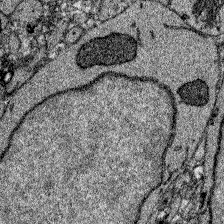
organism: Zebrafish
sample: Larval olfactory bulb